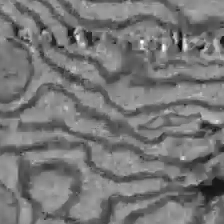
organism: C57BL Mouse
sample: Liver